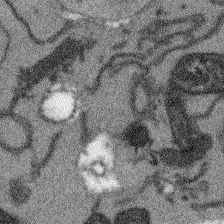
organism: Arabidopsis thaliana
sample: Root tip